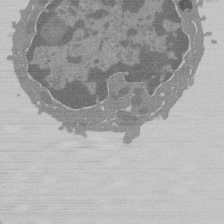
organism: Mouse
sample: Activated Pmel transgenic CD8+ T Cells